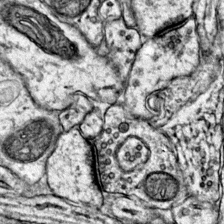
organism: Mouse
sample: Primary visual cortex